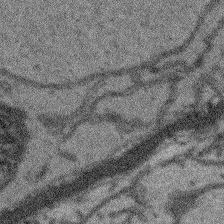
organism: Arabidopsis thaliana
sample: Root tip